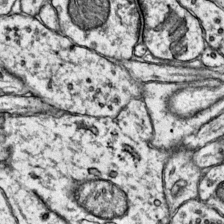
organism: Mouse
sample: Primary visual cortex